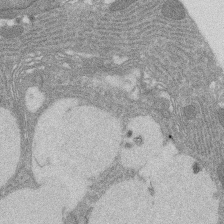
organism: Rat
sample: Salivary granule